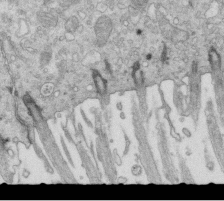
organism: Mouse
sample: Multiciliated cells